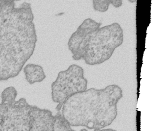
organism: Human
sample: MDA-MB-231 cells